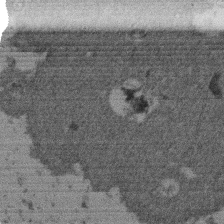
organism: Mouse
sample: Dividing mouse embryo 1 cell stage